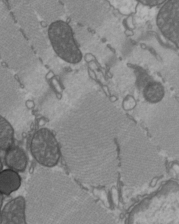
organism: C57BL Mouse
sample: Heart